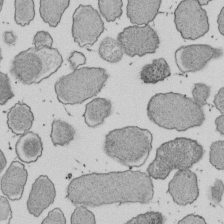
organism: E. coli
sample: Bacterial nucleoid